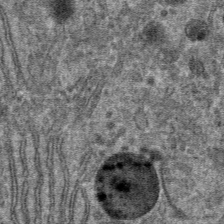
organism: Mouse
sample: Mouse hepatocytes